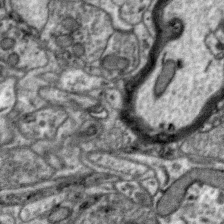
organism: Zebra finch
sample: Brain